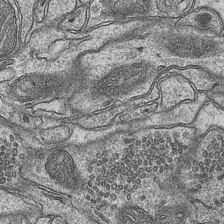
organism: Mouse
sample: CA1 Hippocampus